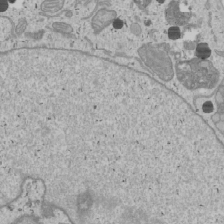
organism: Human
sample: Mitochondria in U2OS cells